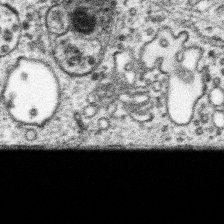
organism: Human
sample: HeLa cells